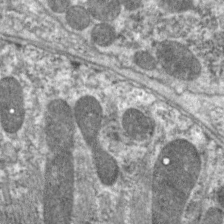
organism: C. elegans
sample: Pharynx